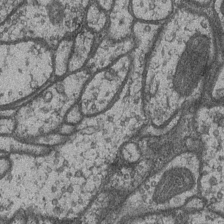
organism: Drosophila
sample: Optic medulla